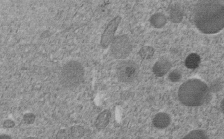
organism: C. elegans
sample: C. elegans embryo early stage